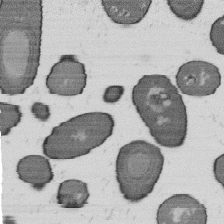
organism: B. subtilis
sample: Bacterial spore